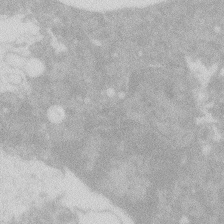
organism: Zebrafish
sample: Macrophage